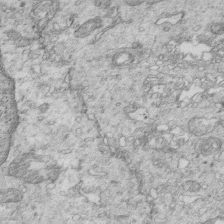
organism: Mouse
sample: Multiciliated cells